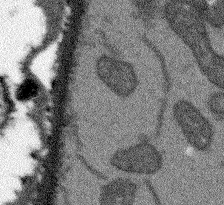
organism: Arabidopsis thaliana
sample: Root tip